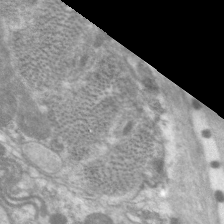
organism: C. elegans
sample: Pharynx